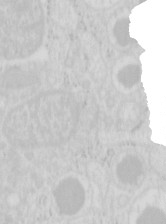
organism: Mouse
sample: Pancreas